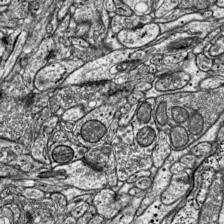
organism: Mouse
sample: Visual Cortex